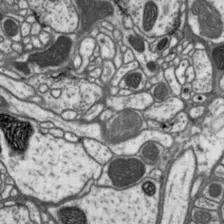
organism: Drosophila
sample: Protocerebral bridge